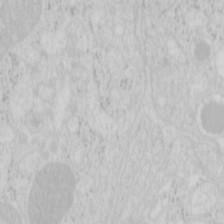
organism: Mouse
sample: Pancreas